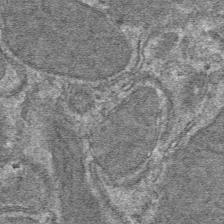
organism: Mouse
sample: Mouse hepatocytes